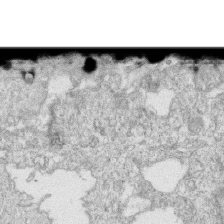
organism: Human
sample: HeLa cell HIV synapse